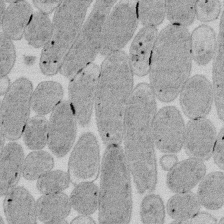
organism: E. coli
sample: Bacterial nucleoid